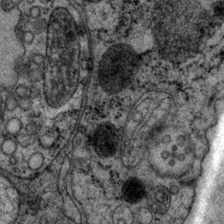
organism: P. pacificus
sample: Pharynx